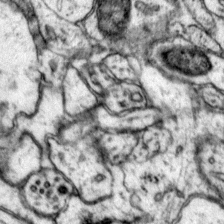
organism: Mouse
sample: Primary visual cortex